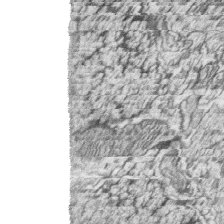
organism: Zebrafish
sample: synaptic ribbons in rod cells and cone cells